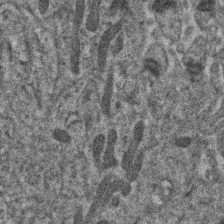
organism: Human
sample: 1205lu cells